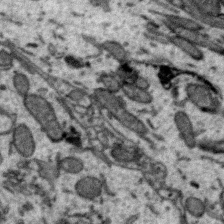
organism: Zebra finch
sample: Brain